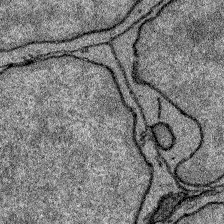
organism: Zebrafish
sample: Larval olfactory bulb